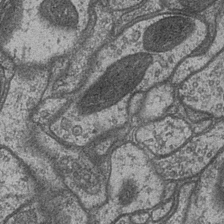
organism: Drosophila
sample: Optic medulla